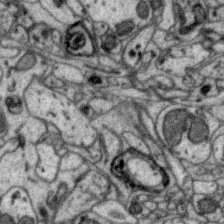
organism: Zebra finch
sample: Brain